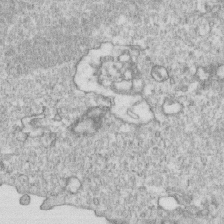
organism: Mouse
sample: Activated OT-1 CD8+ T cells